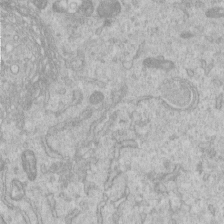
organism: Human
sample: Centriole in RPE cells